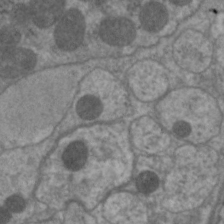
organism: C. elegans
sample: Pharynx